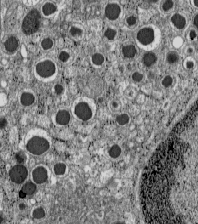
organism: C57BL Mouse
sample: Pancreatic islet